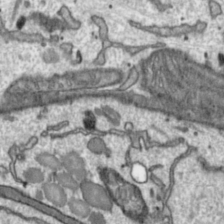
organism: Toxoplasma gondii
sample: Parasites in a vacuole inside a host cell